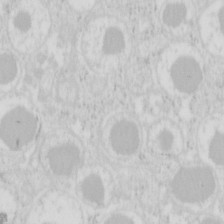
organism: Mouse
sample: Pancreas